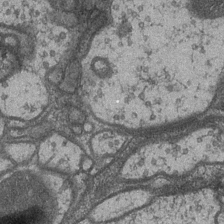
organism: Drosophila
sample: Optic medulla